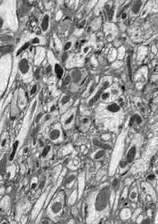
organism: Drosophila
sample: Optic lobe